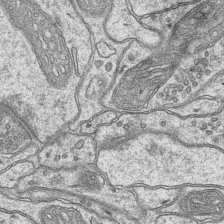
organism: Mouse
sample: CA1 Hippocampus